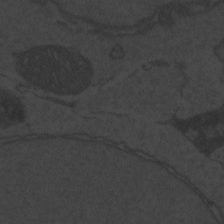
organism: Zebrafish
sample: Macrophage infected with Toxoplasma gondii